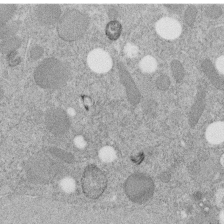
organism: C. elegans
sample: C. elegans embryo early stage